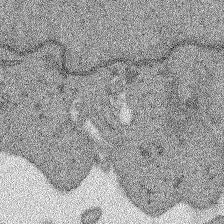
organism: Human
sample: HeLa cells